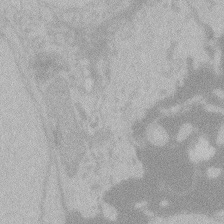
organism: Zebrafish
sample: Macrophage infected with Toxoplasma gondii